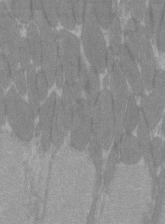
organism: C57BL Mouse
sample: Tibialis anterior muscle cell